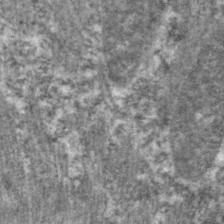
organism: C. elegans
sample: Pharynx